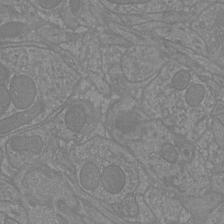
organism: Mouse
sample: Cortical neurons